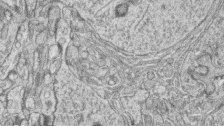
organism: Zebrafish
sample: synaptic ribbons in rod cells and cone cells